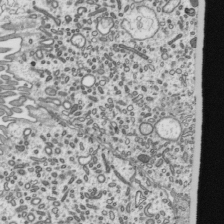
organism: Mouse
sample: Mouse epididymis efferent ductule cilia